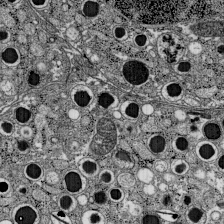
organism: C57BL Mouse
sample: Pancreatic islet